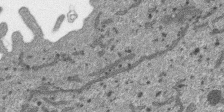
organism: Human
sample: Lung epithelial cells infected with SARS-CoV-2